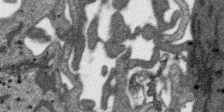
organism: Human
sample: Lung epithelial cells infected with SARS-CoV-2